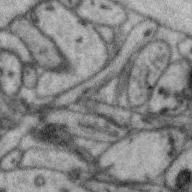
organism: Zebra finch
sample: Brain